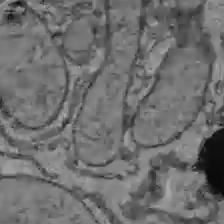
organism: C57BL Mouse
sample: Liver